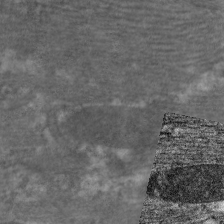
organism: C. elegans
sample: Pharynx